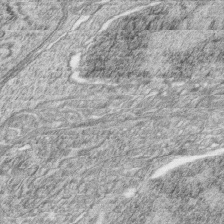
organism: Zebrafish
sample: synaptic ribbons in rod cells and cone cells